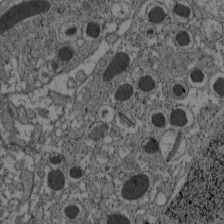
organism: C57BL Mouse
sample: Pancreatic islet